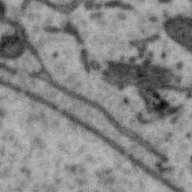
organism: Zebra finch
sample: Brain